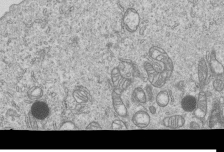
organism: Human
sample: MDA-MB-231 cells